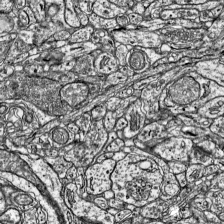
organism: Mouse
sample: Visual Cortex